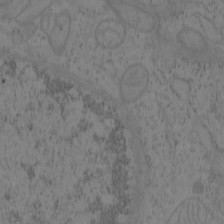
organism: Human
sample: HeLa cells